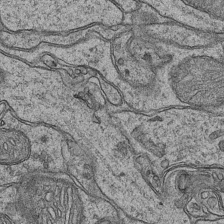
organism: Mouse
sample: CA1 Hippocampus